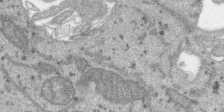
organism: Human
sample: Lung epithelial cells infected with SARS-CoV-2